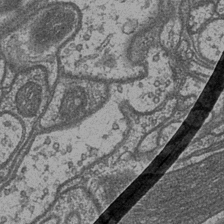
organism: Drosophila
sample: Optic medulla